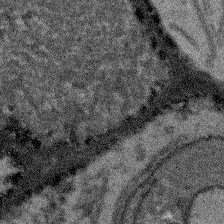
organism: Arabidopsis thaliana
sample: Root tip